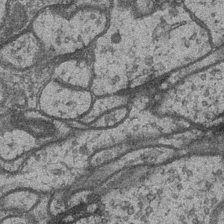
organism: Drosophila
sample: Optic medulla